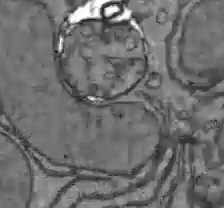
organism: C57BL Mouse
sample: Liver